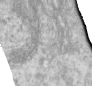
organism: Human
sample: Centriole in RPE cells